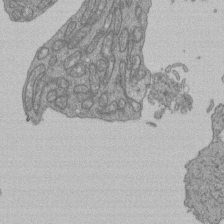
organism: Human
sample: Retinal organoid Rod and Cone cells